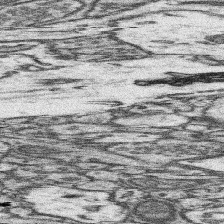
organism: Mouse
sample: Somatosensory cortex neuropil